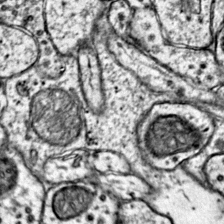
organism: Mouse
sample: Primary visual cortex